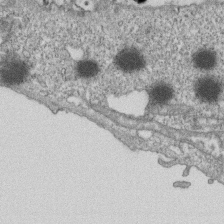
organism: Human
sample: HeLa cell HIV synapse